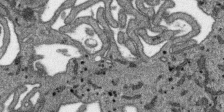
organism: Human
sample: Lung epithelial cells, uninfected (mock) control